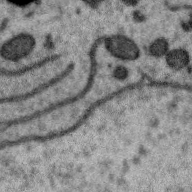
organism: Zebra finch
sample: Brain